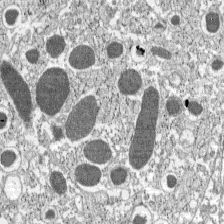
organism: C57BL Mouse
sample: Pancreatic islet